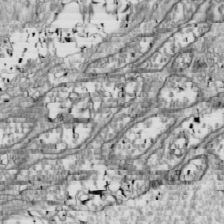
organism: Drosophila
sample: Cell division; meiosis; drosophila spermatocytes